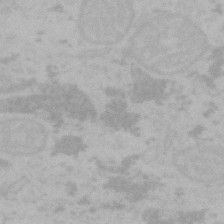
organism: Mouse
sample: Choroid plexus